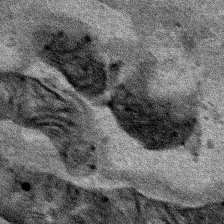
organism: Human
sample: Mitochondria in HCT116 cells